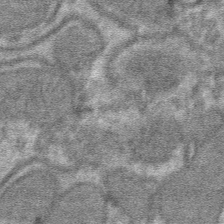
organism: Mouse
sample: Mouse hepatocytes